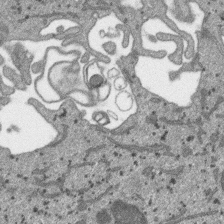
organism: Human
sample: Lung epithelial cells infected with SARS-CoV-2